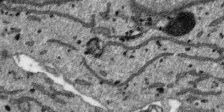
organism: Human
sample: Lung epithelial cells, uninfected (mock) control